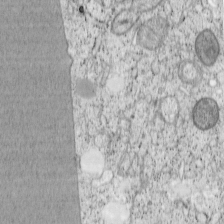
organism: African green monkey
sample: COS-7 cells